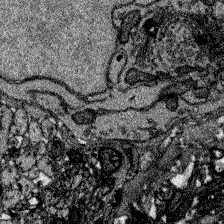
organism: Zebrafish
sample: Larval olfactory bulb